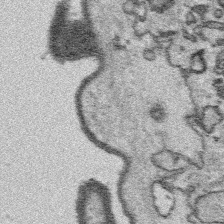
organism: Platynereis dumerilii